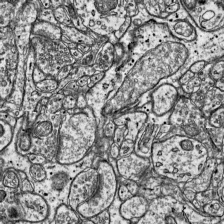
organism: Mouse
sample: Visual Cortex